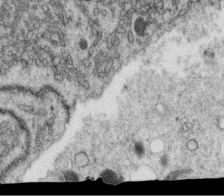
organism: C. elegans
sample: C. elegans oocyte; sperm cells